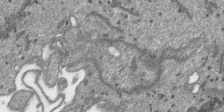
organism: Human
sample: Lung epithelial cells infected with SARS-CoV-2